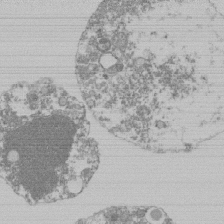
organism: Mouse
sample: Activated Pmel transgenic CD8+ T Cells